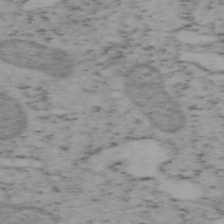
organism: Mouse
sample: OT-I killer T cells with ID8 ovarian cancer cells